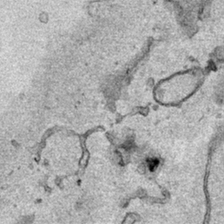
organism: Human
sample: Mitochondria in HCT116 cells